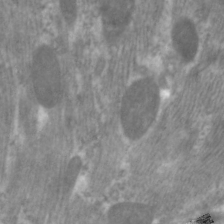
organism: C. elegans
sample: Pharynx